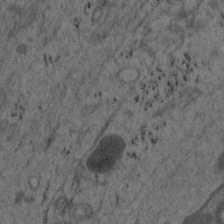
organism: Human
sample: HeLa cells